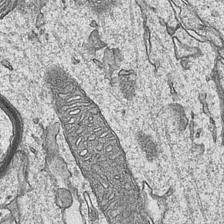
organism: Mouse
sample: CA1 Hippocampus